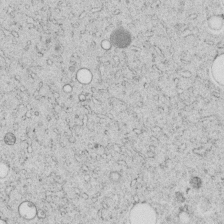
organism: C. elegans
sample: C. elegans embryo early stage